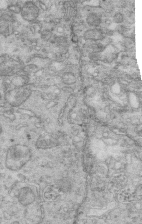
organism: Mouse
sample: Multiciliated cells